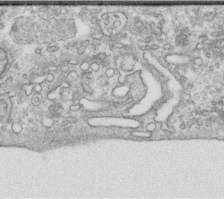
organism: Human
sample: Centriole in RPE cells